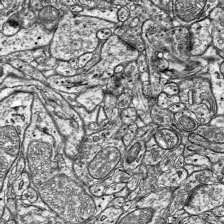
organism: Mouse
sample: Visual Cortex